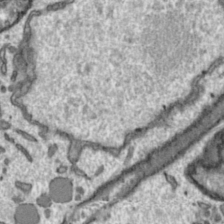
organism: Toxoplasma gondii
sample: Parasites in a vacuole inside a host cell